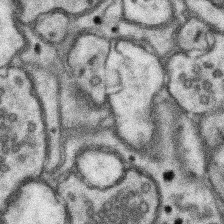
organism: Mouse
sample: Somatosensory cortex neuropil